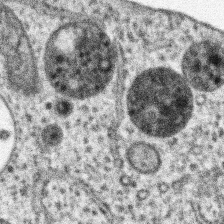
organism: Human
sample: HeLa cells